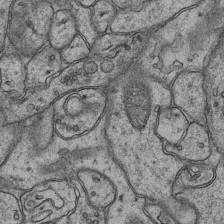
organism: Mouse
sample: CA1 Hippocampus